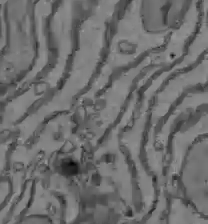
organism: C57BL Mouse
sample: Liver